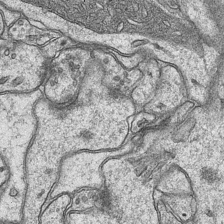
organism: Mouse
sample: CA1 Hippocampus